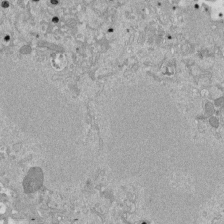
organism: Mouse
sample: ED-1 cell nuclei; centrioles